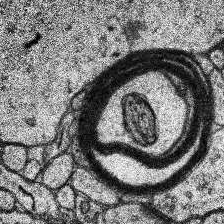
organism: Human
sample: Temporal Lobe